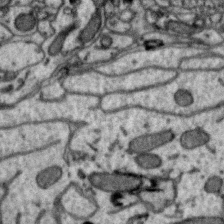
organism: Zebra finch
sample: Brain